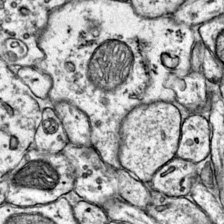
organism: Mouse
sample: Primary visual cortex